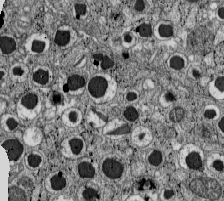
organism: C57BL Mouse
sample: Pancreatic islet